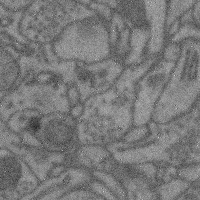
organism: Mouse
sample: Cerebral cortex